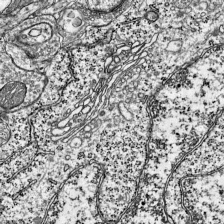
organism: Mouse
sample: Visual Cortex